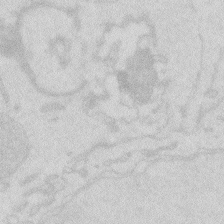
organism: Zebrafish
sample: Macrophage